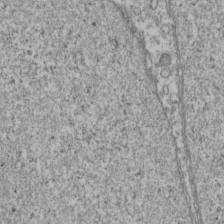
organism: Human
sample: Activated Jurkat CD4+ T cells